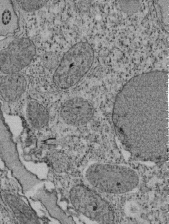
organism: Tetrahymena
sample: Cilia in tetrahymena